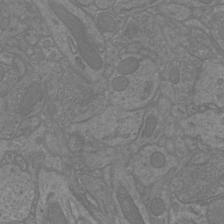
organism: Mouse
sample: Cortical neurons